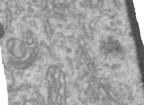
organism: Human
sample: Centriole in RPE cells